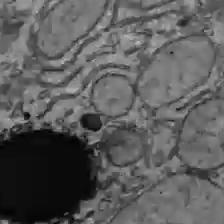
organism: C57BL Mouse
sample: Liver